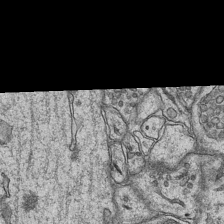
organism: Mouse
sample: CA1 Hippocampus